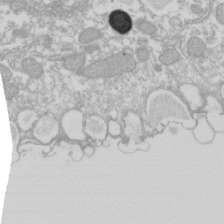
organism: Xenopus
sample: Cilia; centrioles in frog embryo cells